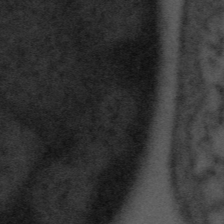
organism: Tuwongella immobilis